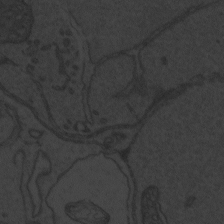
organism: Zebrafish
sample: Macrophage infected with Toxoplasma gondii